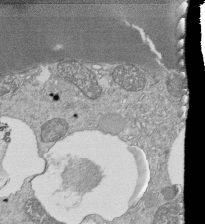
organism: Tetrahymena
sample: Cilia in tetrahymena